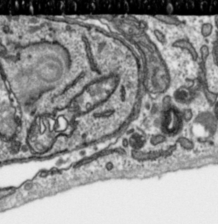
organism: Toxoplasma gondii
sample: Parasites in a vacuole inside a host cell